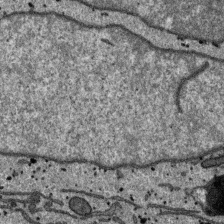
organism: Human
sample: Lung epithelial cells, uninfected (mock) control